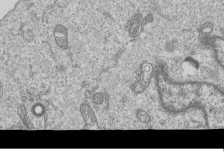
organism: Human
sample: MDA-MB-231 cells